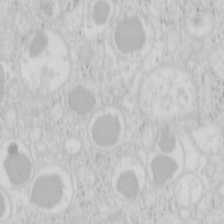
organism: Mouse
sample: Pancreas